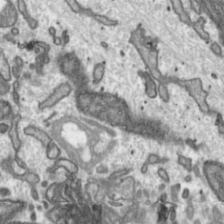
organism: Toxoplasma gondii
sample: Parasites in a vacuole inside a host cell